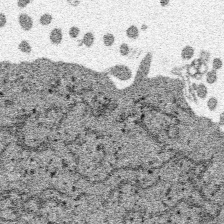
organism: Human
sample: Lung epithelial cells infected with SARS-CoV-2